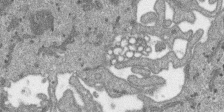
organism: Human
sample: Lung epithelial cells infected with SARS-CoV-2